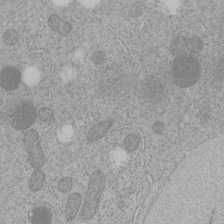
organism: C. elegans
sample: C. elegans embryo early stage